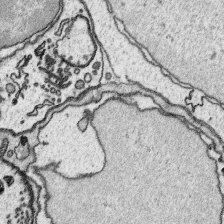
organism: Platynereis dumerilii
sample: Parapodia